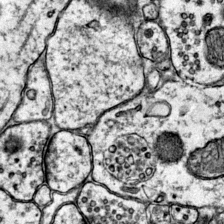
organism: Mouse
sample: Primary visual cortex